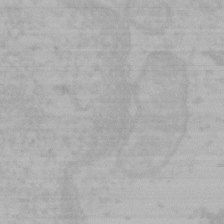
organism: Mouse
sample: Choroid plexus